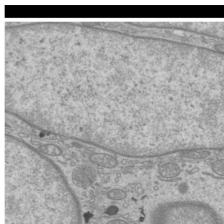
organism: Mouse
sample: Cilia; mouse epididymis